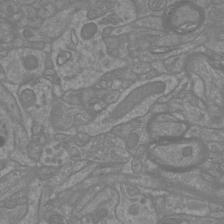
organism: Mouse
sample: Cortical neurons